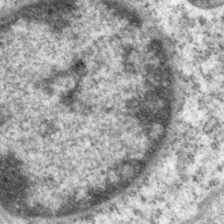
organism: P. pacificus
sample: Pharynx